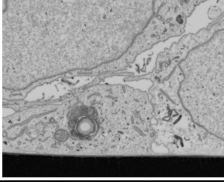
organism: Human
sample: Mitochondria in U2OS cells